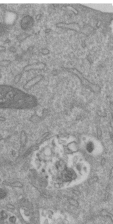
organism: Mouse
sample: ED-1 cell nuclei; centrioles